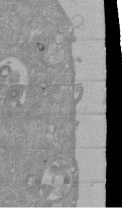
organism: Mouse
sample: ED-1 cell nuclei; centrioles